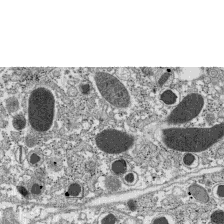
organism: C57BL Mouse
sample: Pancreatic islet